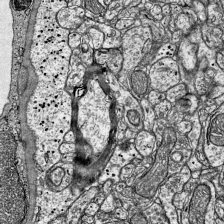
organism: Mouse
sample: Visual Cortex